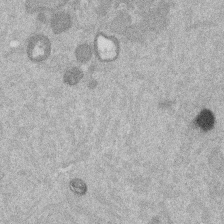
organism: Mouse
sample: Dividing mouse embryo 1 cell stage